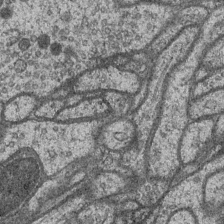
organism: Drosophila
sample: Optic medulla